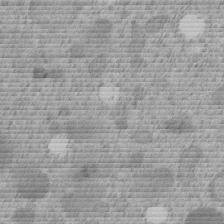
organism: C. elegans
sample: C. elegans embryo early stage